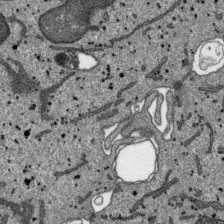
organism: Human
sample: Lung epithelial cells, uninfected (mock) control